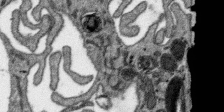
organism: Human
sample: Lung epithelial cells, uninfected (mock) control